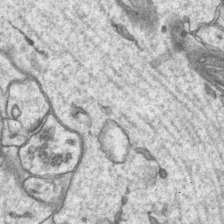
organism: Mouse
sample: CA1 Hippocampus